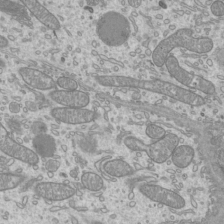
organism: Mouse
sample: Cilia; mouse epididymis